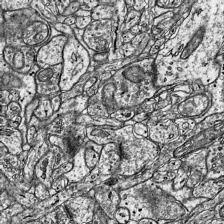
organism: Mouse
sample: Visual Cortex